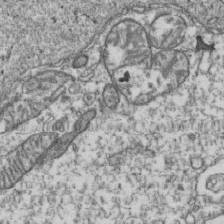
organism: Human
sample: Activated Jurkat CD4+ T cells